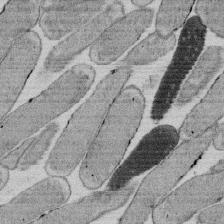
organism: E. coli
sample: Bacterial nucleoid